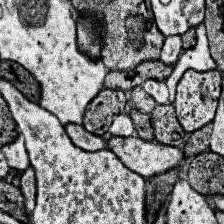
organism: Human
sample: Temporal Lobe